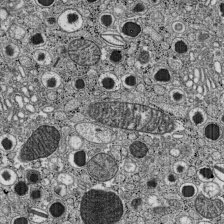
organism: C57BL Mouse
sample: Pancreatic islet